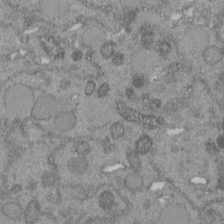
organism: C. elegans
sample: C. elegans embryo early stage